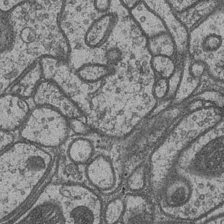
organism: Drosophila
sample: Optic medulla